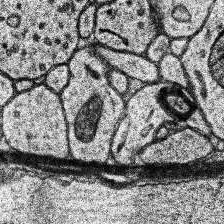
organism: Human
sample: Temporal Lobe